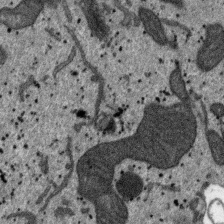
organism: Human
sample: Lung epithelial cells, uninfected (mock) control